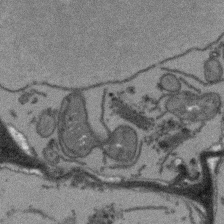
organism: Arabidopsis thaliana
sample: Root tip